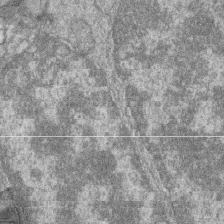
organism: Zebrafish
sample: Cilia; retinal pigment epithelium